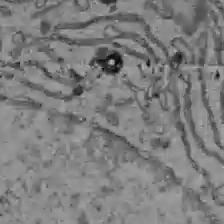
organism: C57BL Mouse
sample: Liver